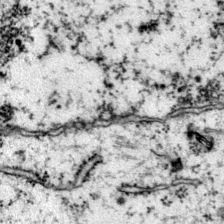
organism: Mouse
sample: Primary visual cortex